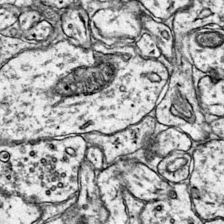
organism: Mouse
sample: Primary visual cortex